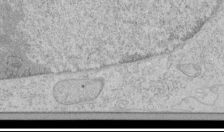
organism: Human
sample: Mitochondria in HCT116 cells